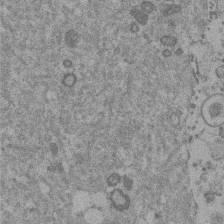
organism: Mouse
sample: Dividing mouse embryo 1 cell stage